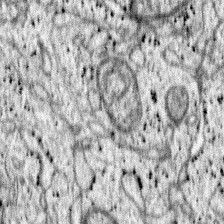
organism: Human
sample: HeLa cells